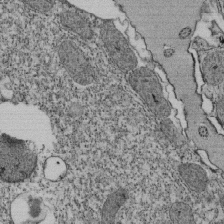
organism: Tetrahymena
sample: Cilia in tetrahymena